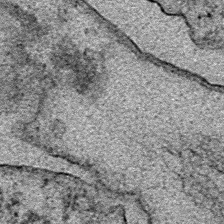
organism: E. coli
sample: E. Coli Bacteria